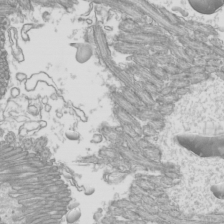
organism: Mouse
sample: Cilia; mouse epididymis